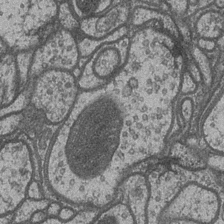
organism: Drosophila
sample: Optic medulla